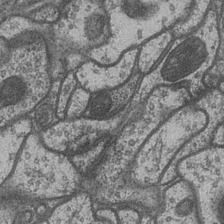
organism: Drosophila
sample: Optic medulla